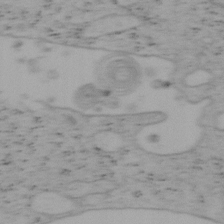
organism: Mouse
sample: OT-I killer T cells with ID8 ovarian cancer cells